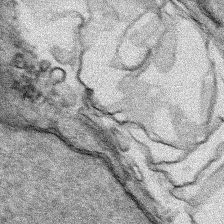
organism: Human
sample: Mitochondria in HCT116 cells